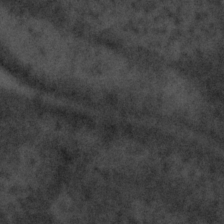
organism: Tuwongella immobilis